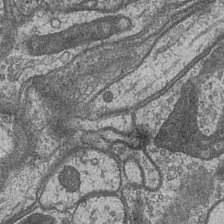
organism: Drosophila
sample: Optic medulla